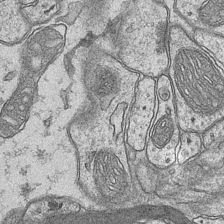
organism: Mouse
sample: CA1 Hippocampus